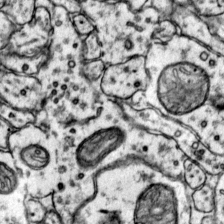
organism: Mouse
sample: Primary visual cortex